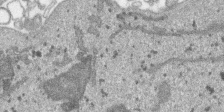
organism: Human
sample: Lung epithelial cells infected with SARS-CoV-2